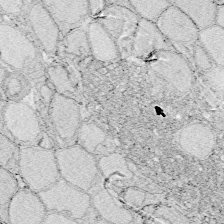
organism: Zebrafish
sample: Whole-Brain